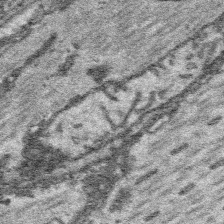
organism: Platynereis dumerilii